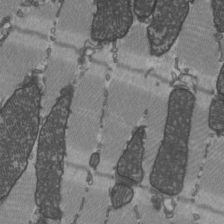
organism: C57BL Mouse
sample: Heart